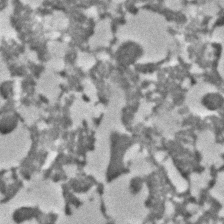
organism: C. elegans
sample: C. elegans embryo